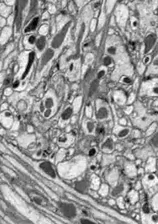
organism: Drosophila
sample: Optic lobe